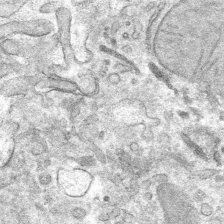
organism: Mouse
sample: Mouse hepatocytes